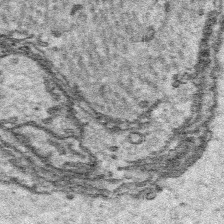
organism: Platynereis dumerilii